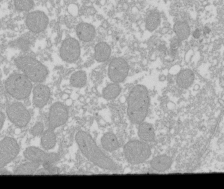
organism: Xenopus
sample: Cilia; centrioles in frog embryo cells